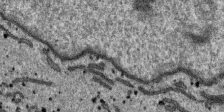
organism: Human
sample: Lung epithelial cells, uninfected (mock) control